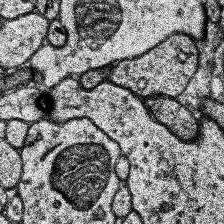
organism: Human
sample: Temporal Lobe